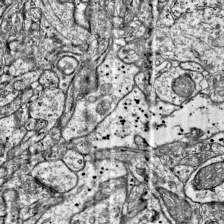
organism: Mouse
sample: Visual Cortex